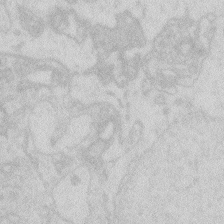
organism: Zebrafish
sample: Macrophage